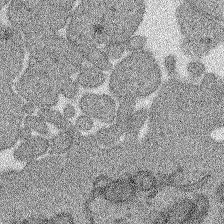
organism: Human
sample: HeLa cells